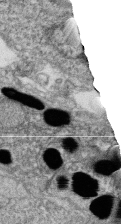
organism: Zebrafish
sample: Cilia; retinal pigment epithelium